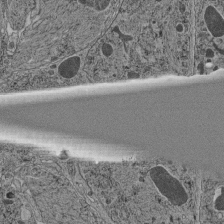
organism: C. elegans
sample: C. elegans pharynx